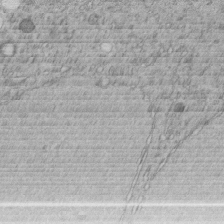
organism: C. elegans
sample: C. elegans embryo early stage